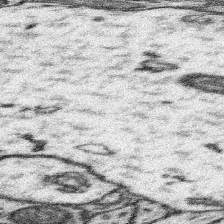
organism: Mouse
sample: Somatosensory cortex neuropil